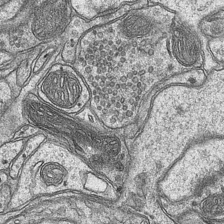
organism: Mouse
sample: CA1 Hippocampus